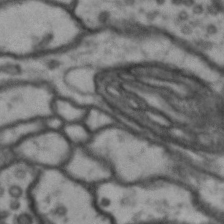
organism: Drosophila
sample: Brain